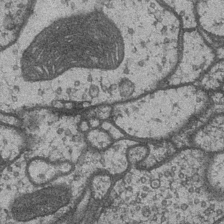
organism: Drosophila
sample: Optic medulla